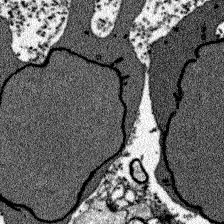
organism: Zebrafish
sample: Larval olfactory bulb